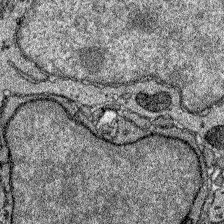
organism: Zebrafish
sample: Larval olfactory bulb